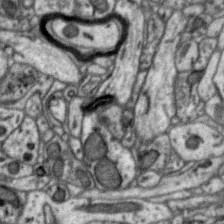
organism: Zebra finch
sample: Brain